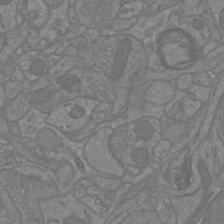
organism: Mouse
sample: Cortical neurons